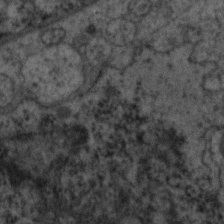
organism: C. elegans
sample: Pharynx